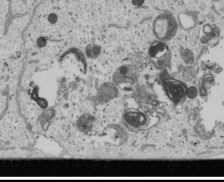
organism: Human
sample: Mitochondria in U2OS cells